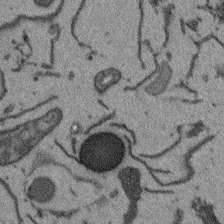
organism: Arabidopsis thaliana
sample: Root tip